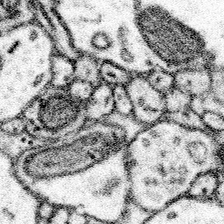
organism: Mouse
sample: Somatosensory cortex neuropil